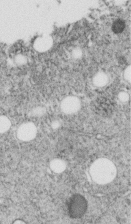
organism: C. elegans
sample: C. elegans embryo early stage